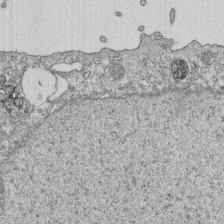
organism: Human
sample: HeLa cell HIV synapse